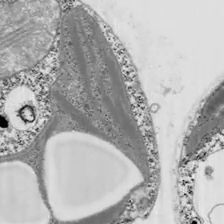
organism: Chlamydomonas reinhardtii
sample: Whole Cell